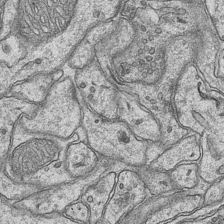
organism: Mouse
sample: CA1 Hippocampus